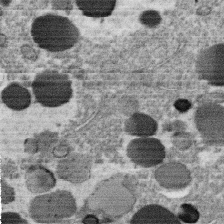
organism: C. elegans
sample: C. elegans oocyte; sperm cells